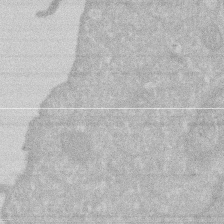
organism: Human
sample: HIV infected U937 cells